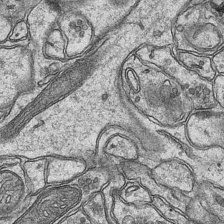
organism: Mouse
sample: CA1 Hippocampus